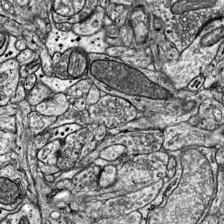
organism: Mouse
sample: Visual Cortex